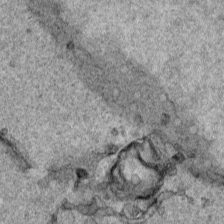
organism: Human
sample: Mitochondria in HCT116 cells